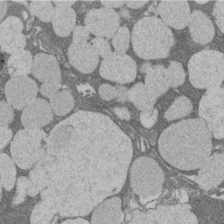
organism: Rat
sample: Salivary granule